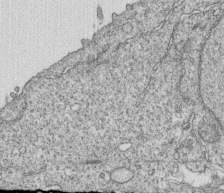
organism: Human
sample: HeLa cell HIV synapse